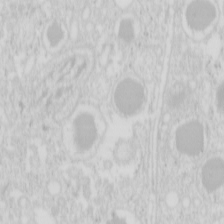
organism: Mouse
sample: Pancreas